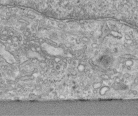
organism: Human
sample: Centriole in RPE cells